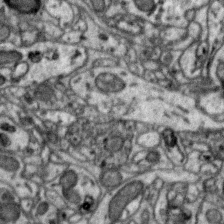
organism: Zebra finch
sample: Brain